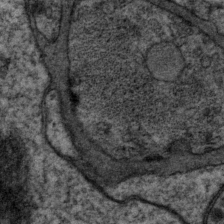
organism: P. pacificus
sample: Pharynx